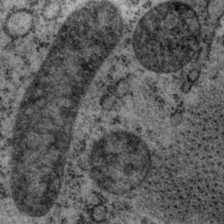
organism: P. pacificus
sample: Pharynx